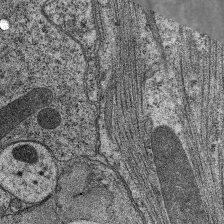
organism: C. elegans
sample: Pharynx